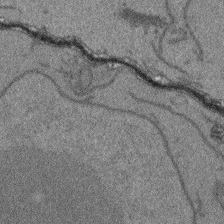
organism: Arabidopsis thaliana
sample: Root tip